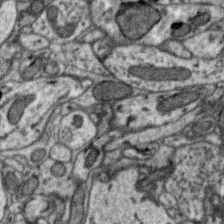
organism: Zebra finch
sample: Brain